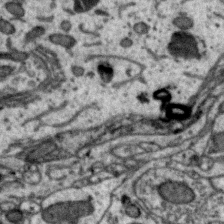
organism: Zebra finch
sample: Brain